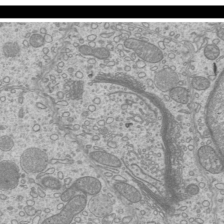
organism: Mouse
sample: Cilia; mouse epididymis